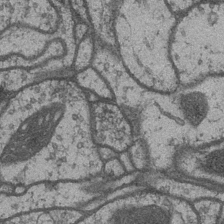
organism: Drosophila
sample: Optic medulla